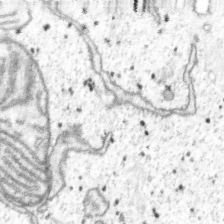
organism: Human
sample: HeLa cells